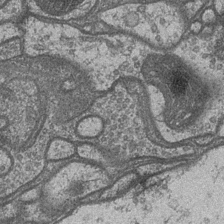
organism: Drosophila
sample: Optic medulla